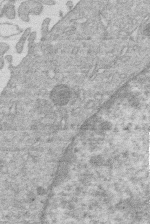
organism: Human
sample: Macrophage cells